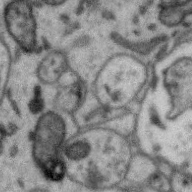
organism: Zebra finch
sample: Brain